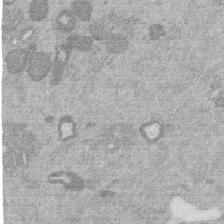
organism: Mouse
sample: Dividing mouse embryo 1 cell stage